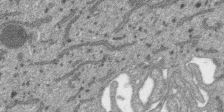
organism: Human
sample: Lung epithelial cells infected with SARS-CoV-2